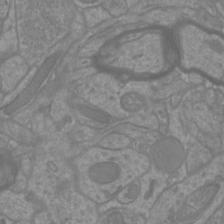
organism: Mouse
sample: Cortical neurons